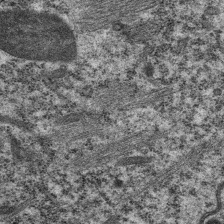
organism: C. elegans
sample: Pharynx